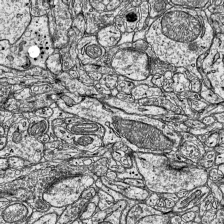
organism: Mouse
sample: Visual Cortex